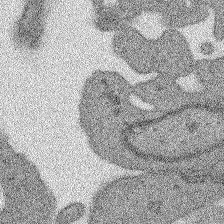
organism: Human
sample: HeLa cells